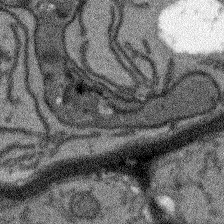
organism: Arabidopsis thaliana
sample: Root tip